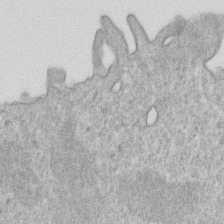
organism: Mouse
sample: Activated OT-1 CD8+ T cells